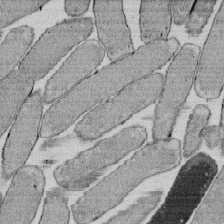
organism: E. coli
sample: Bacterial nucleoid